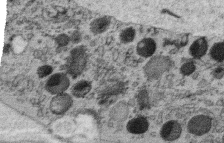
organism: C. elegans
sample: C. elegans oocyte; sperm cells